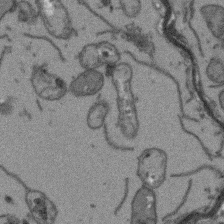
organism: Arabidopsis thaliana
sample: Root tip